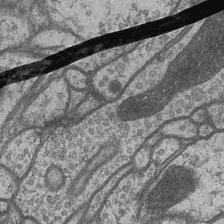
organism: Drosophila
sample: Optic medulla